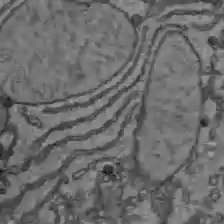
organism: C57BL Mouse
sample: Liver